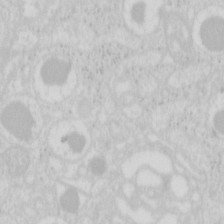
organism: Mouse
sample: Pancreas